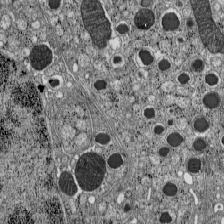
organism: C57BL Mouse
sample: Pancreatic islet